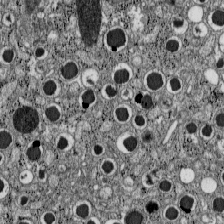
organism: C57BL Mouse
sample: Pancreatic islet